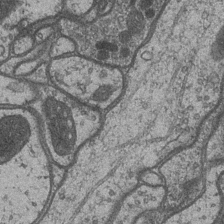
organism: Drosophila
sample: Optic medulla